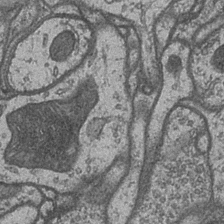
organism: Drosophila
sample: Optic medulla